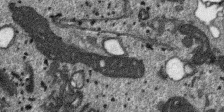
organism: Human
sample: Lung epithelial cells infected with SARS-CoV-2